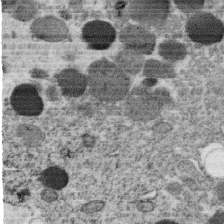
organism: C. elegans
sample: C. elegans oocyte; sperm cells